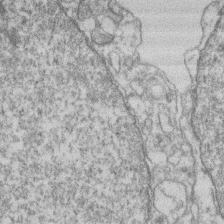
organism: Mouse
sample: T cell stromal cell synapse